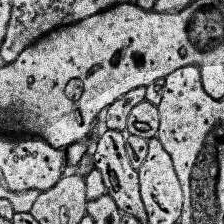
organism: Human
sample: Temporal Lobe